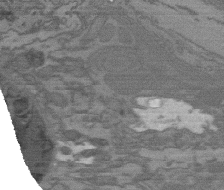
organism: C. elegans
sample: AFD neurons C. elegans